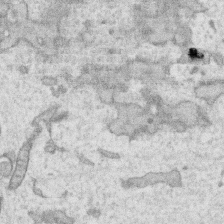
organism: Human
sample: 1205lu cells